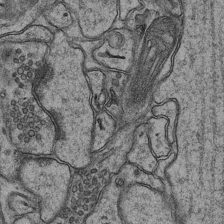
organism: Mouse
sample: CA1 Hippocampus